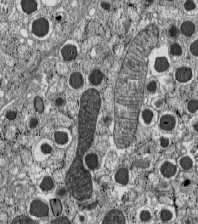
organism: C57BL Mouse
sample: Pancreatic islet